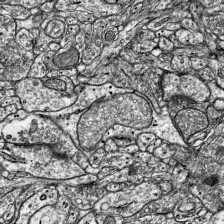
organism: Mouse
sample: Visual Cortex